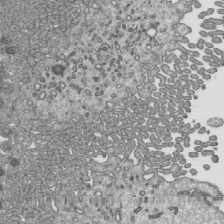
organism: Mouse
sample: Mouse epididymis efferent ductule cilia